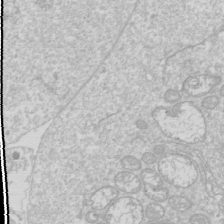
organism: Drosophila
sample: Cell division; meiosis; drosophila spermatocytes